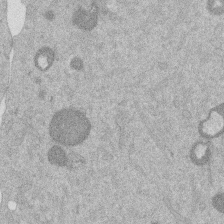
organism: Mouse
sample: Dividing mouse embryo 1 cell stage